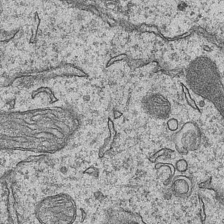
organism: Mouse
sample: CA1 Hippocampus